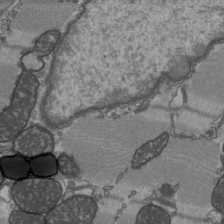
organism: C57BL Mouse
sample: Heart